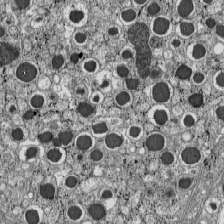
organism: C57BL Mouse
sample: Pancreatic islet